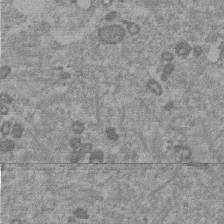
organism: Mouse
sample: Dividing mouse embryo 1 cell stage